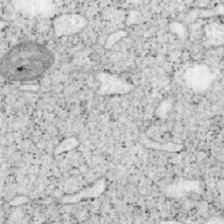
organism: Mouse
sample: OT-I killer T cells with ID8 ovarian cancer cells